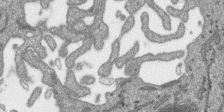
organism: Human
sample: Lung epithelial cells infected with SARS-CoV-2